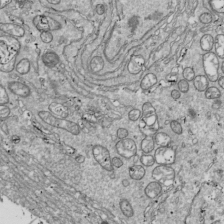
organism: Drosophila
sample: Cell division; meiosis; drosophila spermatocytes